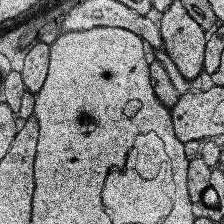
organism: Human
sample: Temporal Lobe